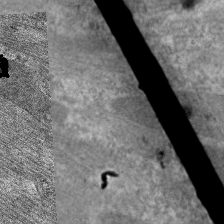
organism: C. elegans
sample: Pharynx